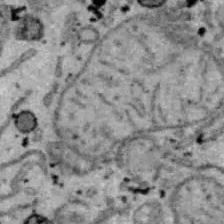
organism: Mouse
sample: Liver from an obese (ob/ob) mouse